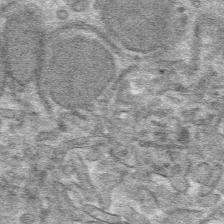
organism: Mouse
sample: Mouse hepatocytes